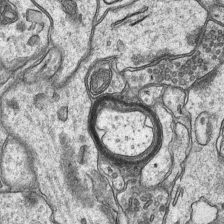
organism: Mouse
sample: CA1 Hippocampus